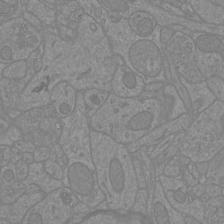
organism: Mouse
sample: Cortical neurons